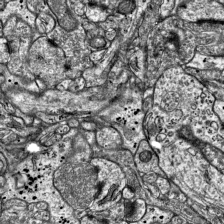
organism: Mouse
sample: Visual Cortex